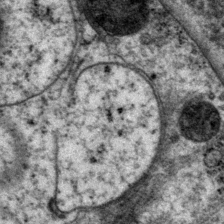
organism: P. pacificus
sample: Pharynx